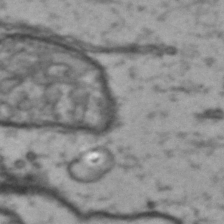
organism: Drosophila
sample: Brain